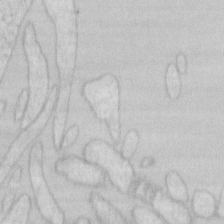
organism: Human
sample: HeLa cells